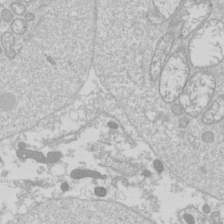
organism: Drosophila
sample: Cell division; meiosis; drosophila spermatocytes